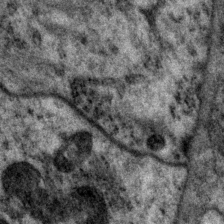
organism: P. pacificus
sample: Pharynx